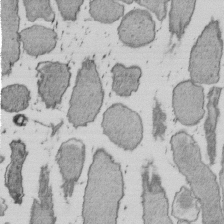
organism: E. coli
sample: Bacterial nucleoid